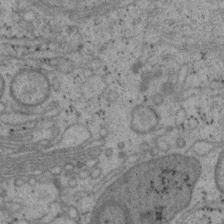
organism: Human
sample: HeLa cells